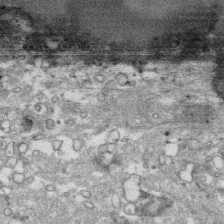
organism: Human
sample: CRL-1474